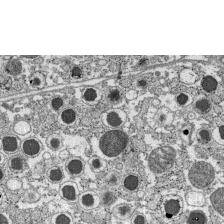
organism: C57BL Mouse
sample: Pancreatic islet